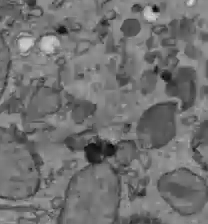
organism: C57BL Mouse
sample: Liver